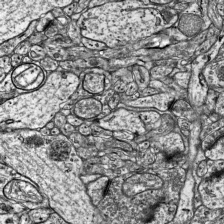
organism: Mouse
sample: Visual Cortex